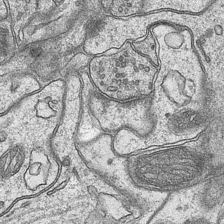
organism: Mouse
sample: CA1 Hippocampus